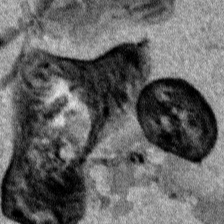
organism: Human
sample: Mitochondria in HCT116 cells